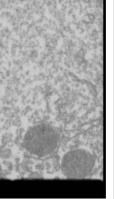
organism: Drosophila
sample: Cell division; meiosis; drosophila spermatocytes